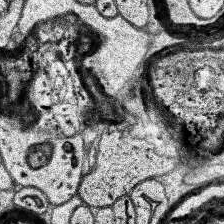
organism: Human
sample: Temporal Lobe